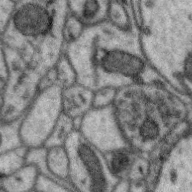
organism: Zebra finch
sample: Brain